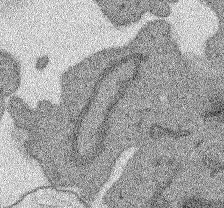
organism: Human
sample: HeLa cells